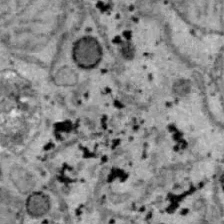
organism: Mouse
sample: Liver from an obese (ob/ob) mouse